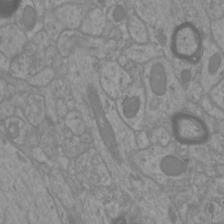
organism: Mouse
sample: Cortical neurons